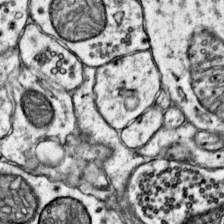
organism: Mouse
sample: Primary visual cortex